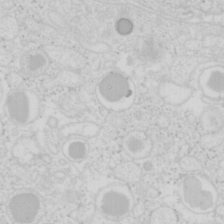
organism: Mouse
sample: Pancreas